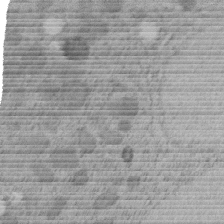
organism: C. elegans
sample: C. elegans embryo early stage